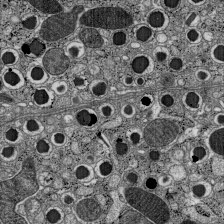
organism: C57BL Mouse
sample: Pancreatic islet